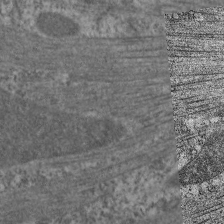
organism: C. elegans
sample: Pharynx